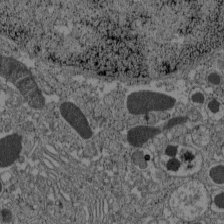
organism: C57BL Mouse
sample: Pancreatic islet